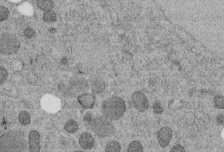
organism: C. elegans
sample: C. elegans embryo early stage